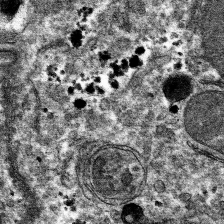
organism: Mouse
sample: Mouse hepatocytes